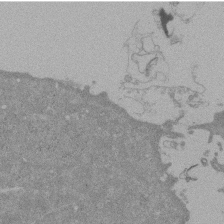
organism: Mouse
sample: ED-1 cell nuclei; centrioles